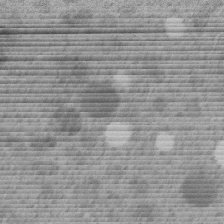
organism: C. elegans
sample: C. elegans embryo early stage